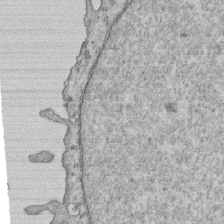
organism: Human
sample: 1205lu cells